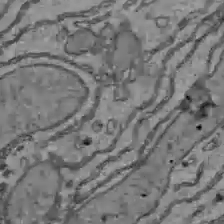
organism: C57BL Mouse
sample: Liver